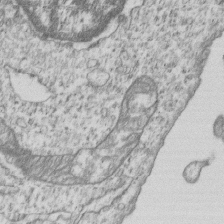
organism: Human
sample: MDA-MB-231 cells